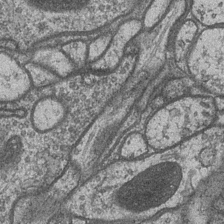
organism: Drosophila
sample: Optic medulla